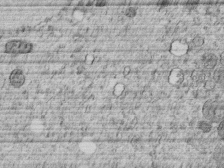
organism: C. elegans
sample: C. elegans embryo early stage